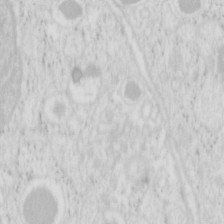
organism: Mouse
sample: Pancreas